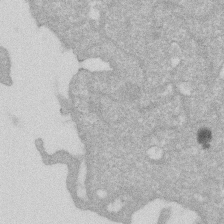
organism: Human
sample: HIV infected U937 cells